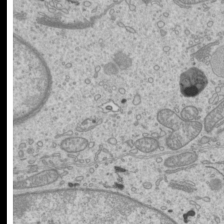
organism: Mouse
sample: Cilia; mouse epididymis